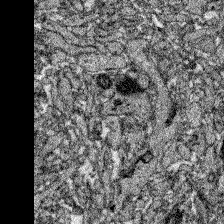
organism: Zebrafish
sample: Larval olfactory bulb